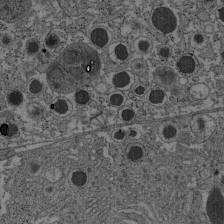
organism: C57BL Mouse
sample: Pancreatic islet